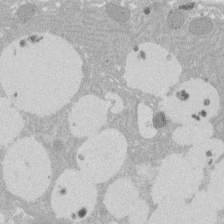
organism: Rat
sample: Salivary granule